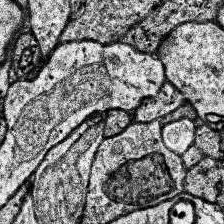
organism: Human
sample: Temporal Lobe